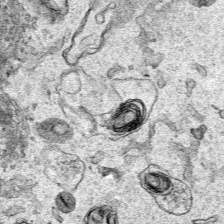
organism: Human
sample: Mitochondria in HCT116 cells